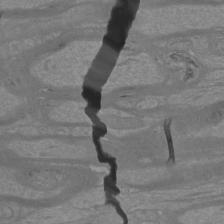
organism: Mouse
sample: Cortical neurons